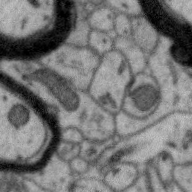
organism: Zebra finch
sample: Brain